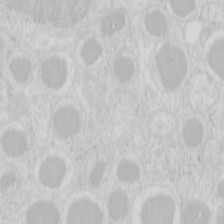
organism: Mouse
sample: Pancreas